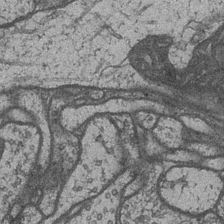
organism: Drosophila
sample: Optic medulla